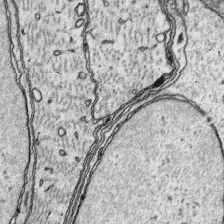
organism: Platynereis dumerilii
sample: Parapodia